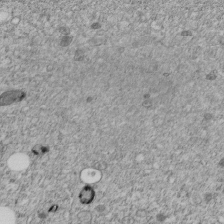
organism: C. elegans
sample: C. elegans embryo early stage